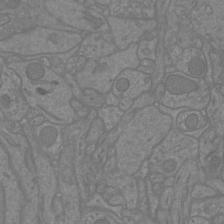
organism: Mouse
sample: Cortical neurons